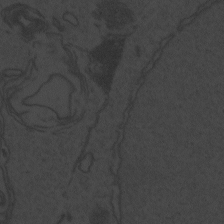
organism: Zebrafish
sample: Macrophage infected with Toxoplasma gondii